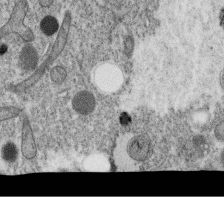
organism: C. elegans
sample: C. elegans oocyte; sperm cells